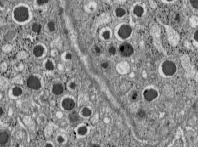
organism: C57BL Mouse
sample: Pancreatic islet